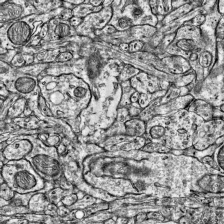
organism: Mouse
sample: Visual Cortex